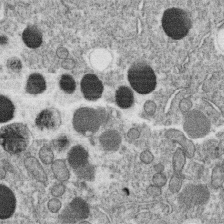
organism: C. elegans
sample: C. elegans oocyte; sperm cells